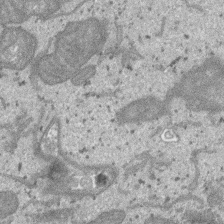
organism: Human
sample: Lung epithelial cells infected with SARS-CoV-2